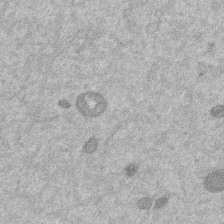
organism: Mouse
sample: Dividing mouse embryo 1 cell stage